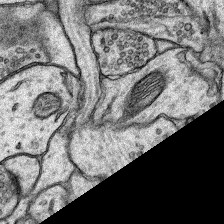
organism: Rat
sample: Hippocampus